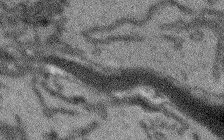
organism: Arabidopsis thaliana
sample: Root tip